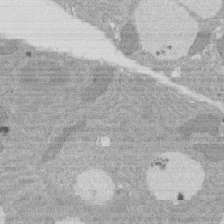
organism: Rat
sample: Salivary granule